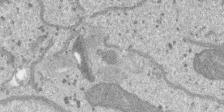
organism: Human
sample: Lung epithelial cells infected with SARS-CoV-2